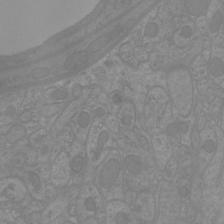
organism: Mouse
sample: Cortical neurons